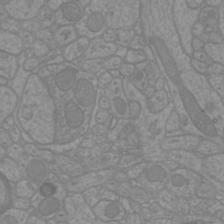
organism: Mouse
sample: Cortical neurons